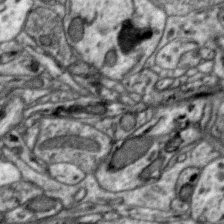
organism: Zebra finch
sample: Brain